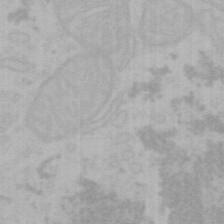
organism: Mouse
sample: Choroid plexus